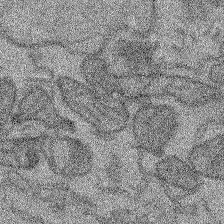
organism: Human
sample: HeLa cells